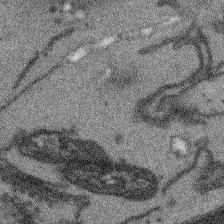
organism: Arabidopsis thaliana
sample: Root tip